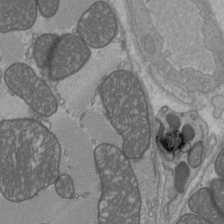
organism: C57BL Mouse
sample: Heart